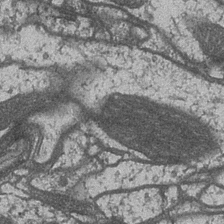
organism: Drosophila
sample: Optic medulla